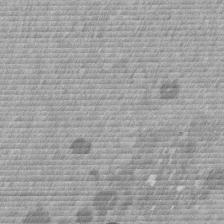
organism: Mouse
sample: Dividing mouse embryo 1 cell stage